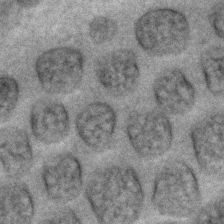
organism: C. elegans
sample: C. elegans embryo